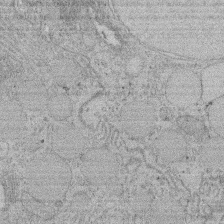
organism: Rat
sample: Salivary granule